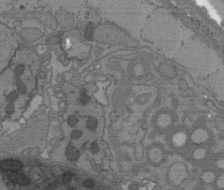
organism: C. elegans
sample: AFD neurons C. elegans